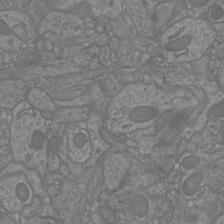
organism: Mouse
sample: Cortical neurons